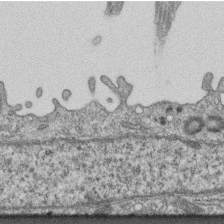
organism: Mouse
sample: Centriole in ependymal cells